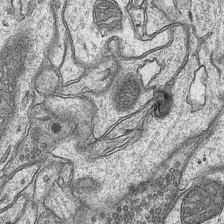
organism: Mouse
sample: CA1 Hippocampus